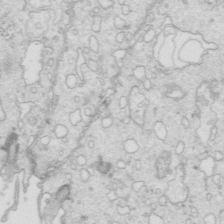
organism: Mouse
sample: Multiciliated cells